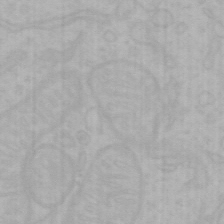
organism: Mouse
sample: Choroid plexus